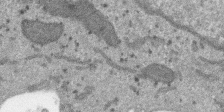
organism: Human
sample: Lung epithelial cells infected with SARS-CoV-2